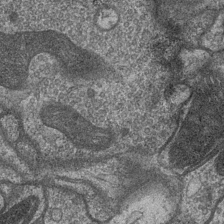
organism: Drosophila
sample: Optic medulla